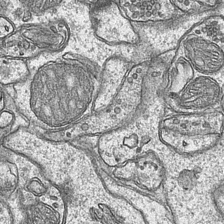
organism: Mouse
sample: CA1 Hippocampus